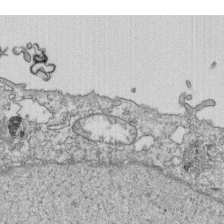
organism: Human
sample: HeLa cell HIV synapse